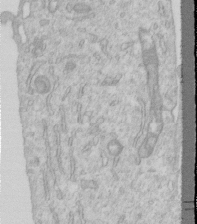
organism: Human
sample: Centriole in RPE cells